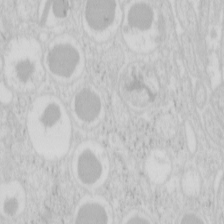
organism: Mouse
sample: Pancreas